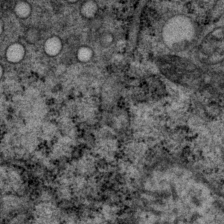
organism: P. pacificus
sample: Pharynx